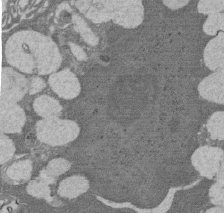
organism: Rat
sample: Salivary granule